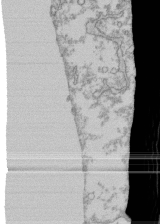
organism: Human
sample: Fibroblast cells